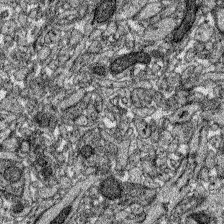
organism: Zebrafish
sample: Larval olfactory bulb